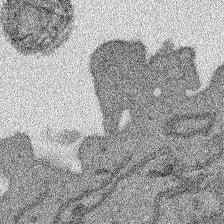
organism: Human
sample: HeLa cells